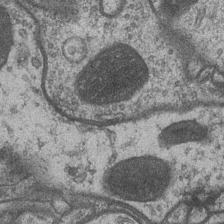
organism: Drosophila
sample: Optic medulla